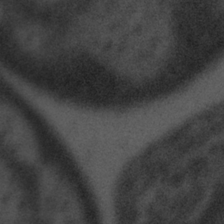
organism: Tuwongella immobilis